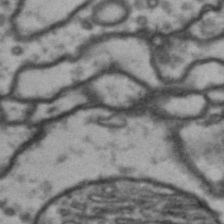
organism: Drosophila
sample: Brain